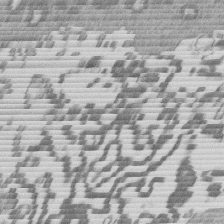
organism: Mouse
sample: Dividing mouse embryo 1 cell stage